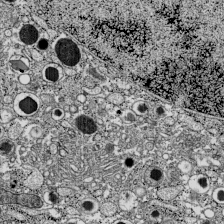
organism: C57BL Mouse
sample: Pancreatic islet